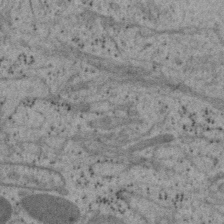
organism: Human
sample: HeLa cells